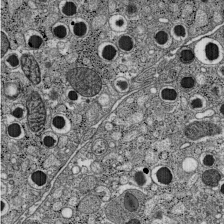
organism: C57BL Mouse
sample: Pancreatic islet